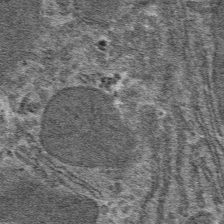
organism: Mouse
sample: Mouse hepatocytes